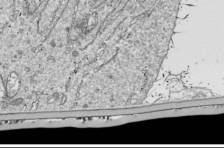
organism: Drosophila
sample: Cell division; meiosis; drosophila spermatocytes